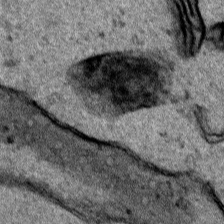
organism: Human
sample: Mitochondria in HCT116 cells